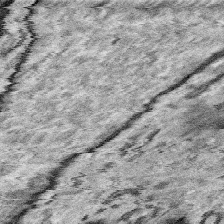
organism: Human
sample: HeLa cells